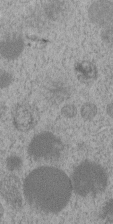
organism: C. elegans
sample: C. elegans embryo early stage